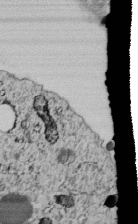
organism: C. elegans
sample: C. elegans embryo early stage